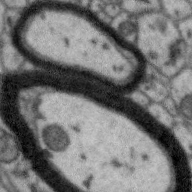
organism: Zebra finch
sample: Brain